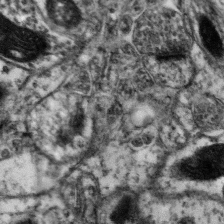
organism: Mouse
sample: Neocortex